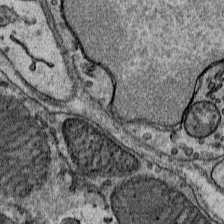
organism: Mouse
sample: Mouse Salivary gland